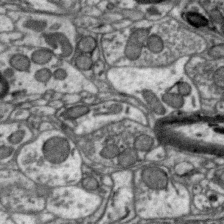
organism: Zebra finch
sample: Brain